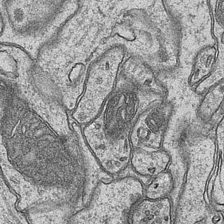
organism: Mouse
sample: CA1 Hippocampus